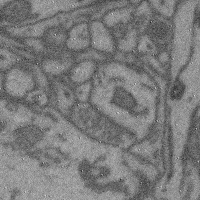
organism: Mouse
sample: Cerebral cortex